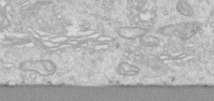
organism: Human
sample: Centriole in RPE cells